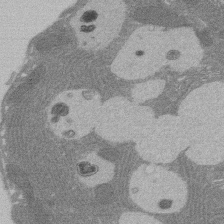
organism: Rat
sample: Salivary granule